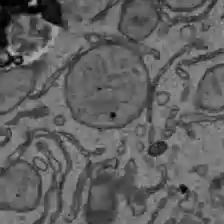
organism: C57BL Mouse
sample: Liver